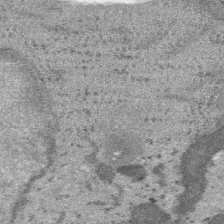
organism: Human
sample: Lung epithelial cells infected with SARS-CoV-2